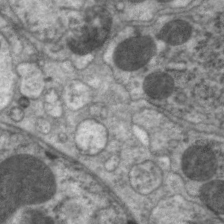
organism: C. elegans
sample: Pharynx